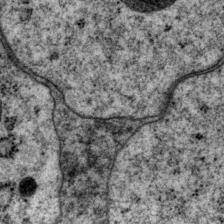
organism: P. pacificus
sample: Pharynx